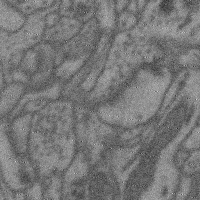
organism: Mouse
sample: Cerebral cortex